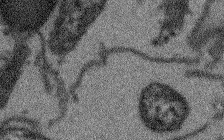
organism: Arabidopsis thaliana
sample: Root tip